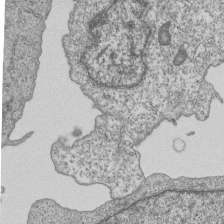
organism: Human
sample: MDA-MB-231 cells